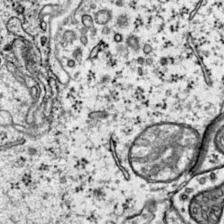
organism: Mouse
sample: Primary visual cortex